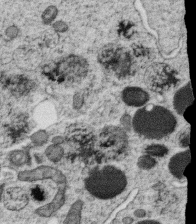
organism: C. elegans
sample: C. elegans oocyte; sperm cells